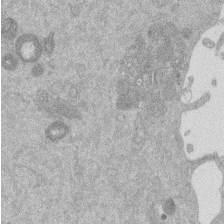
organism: Mouse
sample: Dividing mouse embryo 1 cell stage